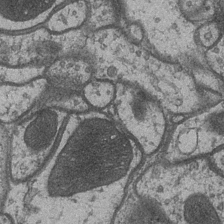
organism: Drosophila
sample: Optic medulla